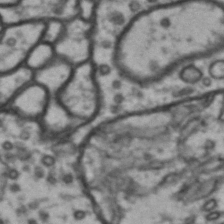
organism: Drosophila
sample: Brain